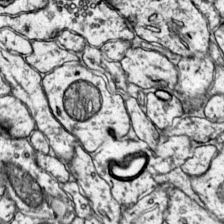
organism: Mouse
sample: Primary visual cortex